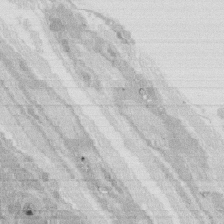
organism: Rat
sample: Salivary granule